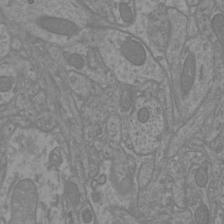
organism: Mouse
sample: Cortical neurons